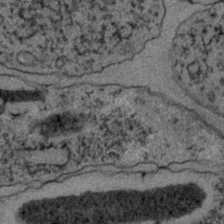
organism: C. elegans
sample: C. elegans embryo